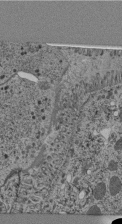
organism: C. elegans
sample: C. elegans pharynx